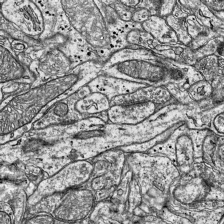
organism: Mouse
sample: Visual Cortex